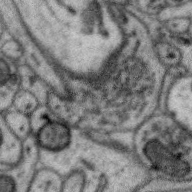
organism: Zebra finch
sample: Brain